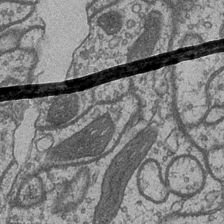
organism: Drosophila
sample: Optic medulla